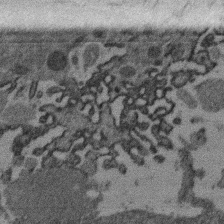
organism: Mouse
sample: Dividing mouse embryo 1 cell stage